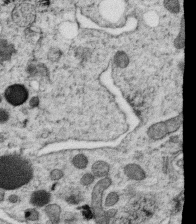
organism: C. elegans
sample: C. elegans oocyte; sperm cells